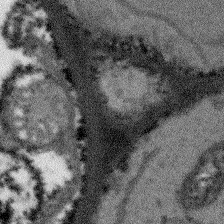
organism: Arabidopsis thaliana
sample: Root tip